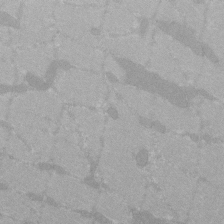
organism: C57BL Mouse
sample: Tibialis anterior muscle cell